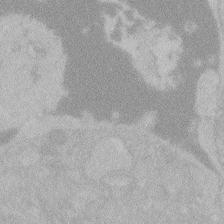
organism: Zebrafish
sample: Macrophage infected with Toxoplasma gondii